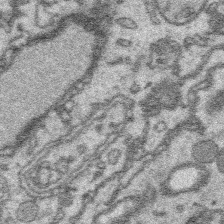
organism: Platynereis dumerilii